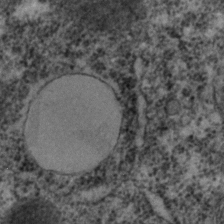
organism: C. elegans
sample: C. elegans embryo